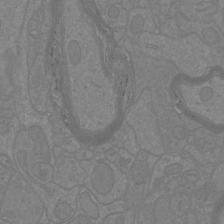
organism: Mouse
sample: Cortical neurons